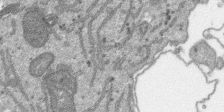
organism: Human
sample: Lung epithelial cells infected with SARS-CoV-2